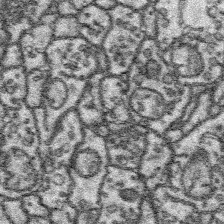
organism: Platynereis dumerilii